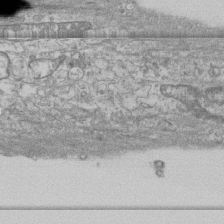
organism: Human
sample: Fibroblast cells